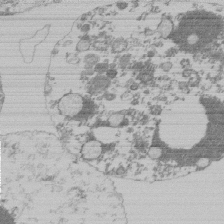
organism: Mouse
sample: Activated Pmel transgenic CD8+ T Cells